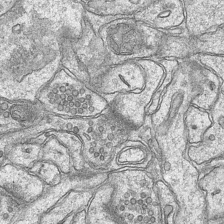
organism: Mouse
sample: CA1 Hippocampus